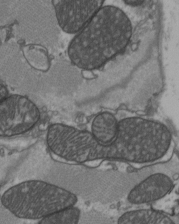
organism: C57BL Mouse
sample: Heart